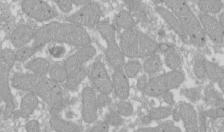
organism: Xenopus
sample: Cilia; centrioles in frog embryo cells